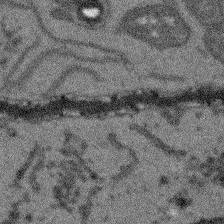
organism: Arabidopsis thaliana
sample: Root tip